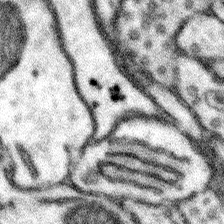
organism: Mouse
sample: Somatosensory cortex neuropil